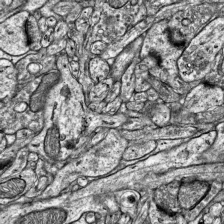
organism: Mouse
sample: Visual Cortex